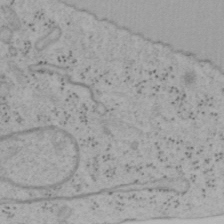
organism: Human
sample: HeLa cells